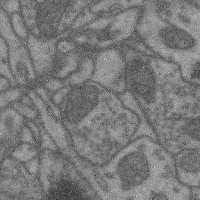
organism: Mouse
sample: Cerebral cortex